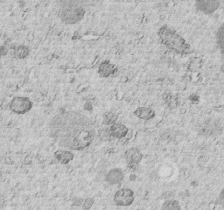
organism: C. elegans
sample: C. elegans embryo early stage